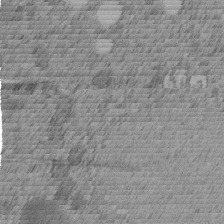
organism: C. elegans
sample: C. elegans embryo early stage